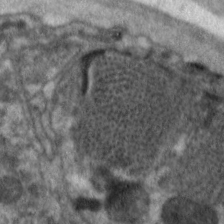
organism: C. elegans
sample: Pharynx